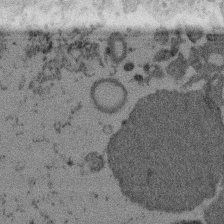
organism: Mouse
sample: Dividing mouse embryo 1 cell stage